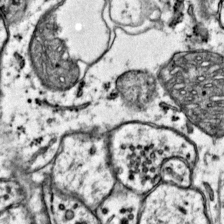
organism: Mouse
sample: Primary visual cortex